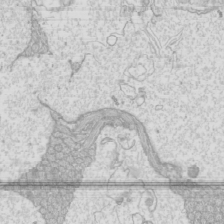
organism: Mouse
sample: Cilia; mouse epididymis